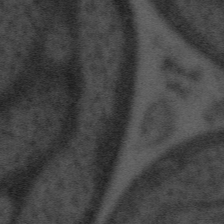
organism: Tuwongella immobilis